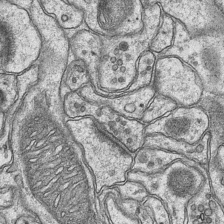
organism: Mouse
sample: CA1 Hippocampus